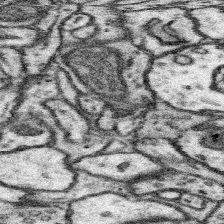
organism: Mouse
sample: Somatosensory cortex neuropil